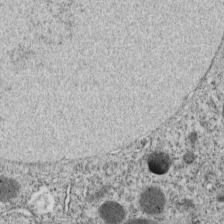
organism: C. elegans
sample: C. elegans embryo early stage